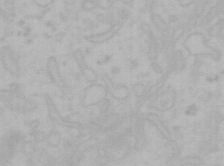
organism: Mouse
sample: Choroid plexus